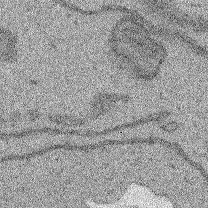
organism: Human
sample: HeLa cells